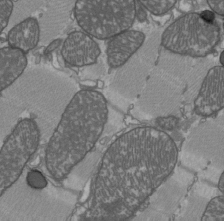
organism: C57BL Mouse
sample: Heart